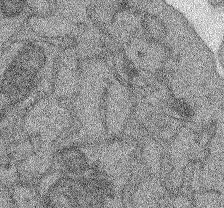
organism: Human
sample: HeLa cells